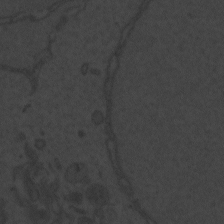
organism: Zebrafish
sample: Macrophage infected with Toxoplasma gondii